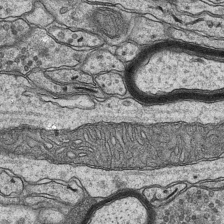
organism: Mouse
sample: CA1 Hippocampus